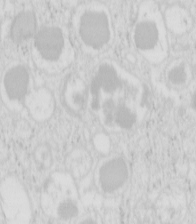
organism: Mouse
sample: Pancreas